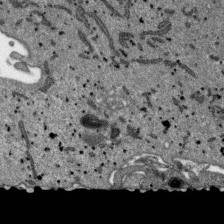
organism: Human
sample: Lung epithelial cells, uninfected (mock) control